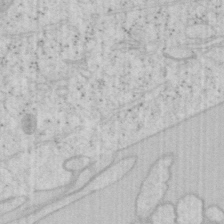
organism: Human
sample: HeLa cells